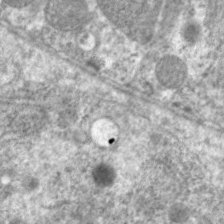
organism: C. elegans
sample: Pharynx